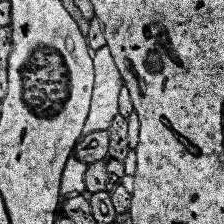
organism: Human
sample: Temporal Lobe